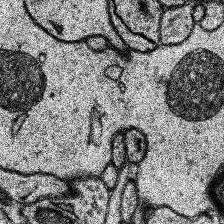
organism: Human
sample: Temporal Lobe